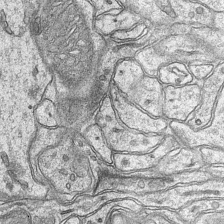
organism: Mouse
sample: CA1 Hippocampus